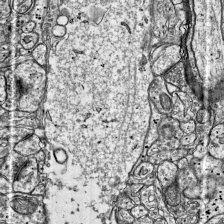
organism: Mouse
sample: Visual Cortex